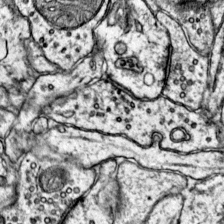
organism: Mouse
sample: Primary visual cortex